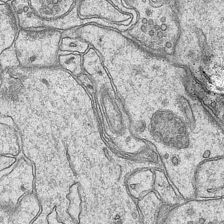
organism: Mouse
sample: CA1 Hippocampus